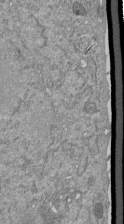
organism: Mouse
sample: ED-1 cell nuclei; centrioles